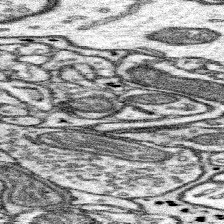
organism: Mouse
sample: Somatosensory cortex neuropil